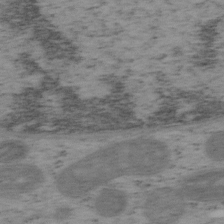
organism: Mouse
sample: OT-I killer T cells with ID8 ovarian cancer cells